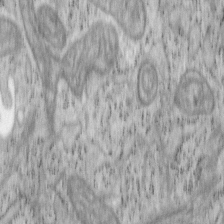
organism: Human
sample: HeLa cells